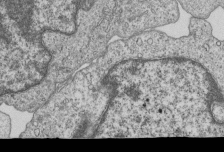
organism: Human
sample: MDA-MB-231 cells